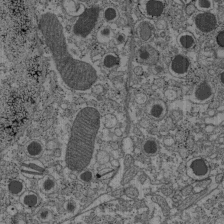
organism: C57BL Mouse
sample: Pancreatic islet